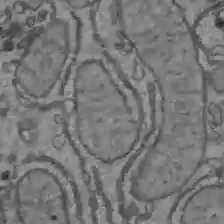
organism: C57BL Mouse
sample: Liver